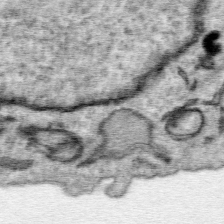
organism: Human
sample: HeLa cells